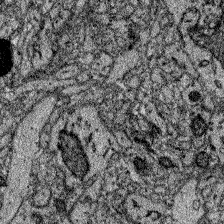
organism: Zebrafish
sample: Larval olfactory bulb